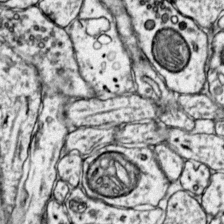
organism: Mouse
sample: Primary visual cortex